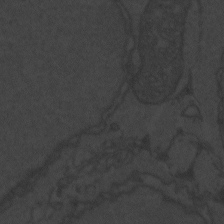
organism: Zebrafish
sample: Macrophage infected with Toxoplasma gondii